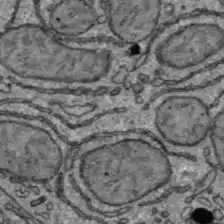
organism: C57BL Mouse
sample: Liver